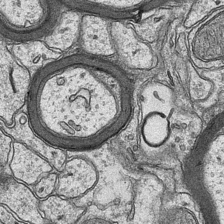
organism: Mouse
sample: CA1 Hippocampus